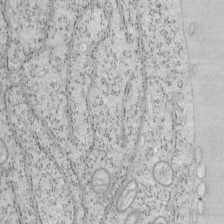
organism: Mouse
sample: OT-I killer T cells with ID8 ovarian cancer cells